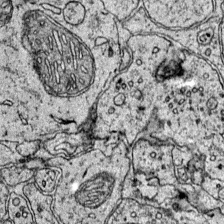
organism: Mouse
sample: Primary visual cortex